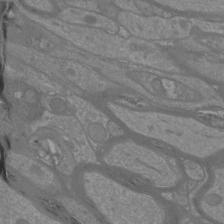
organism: Mouse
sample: Cortical neurons